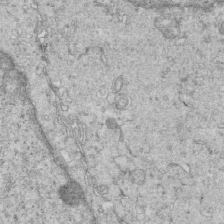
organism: Mouse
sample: Multiciliated cells